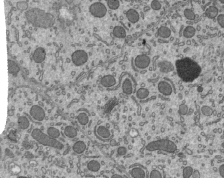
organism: Mouse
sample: Mouse epididymis efferent ductule cilia